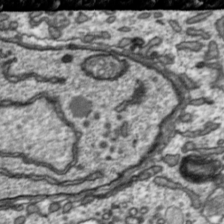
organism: Toxoplasma gondii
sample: Parasites in a vacuole inside a host cell